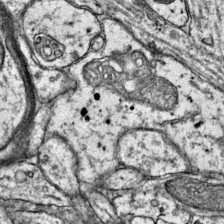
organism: Mouse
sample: Primary visual cortex